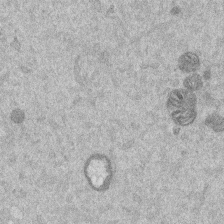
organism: Mouse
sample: Dividing mouse embryo 1 cell stage